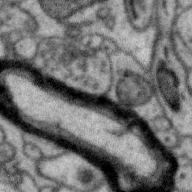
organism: Zebra finch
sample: Brain